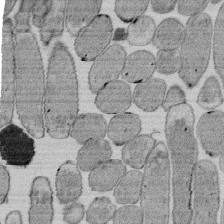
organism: E. coli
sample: Bacterial nucleoid